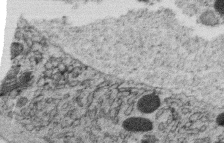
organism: C. elegans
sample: C. elegans oocyte; sperm cells